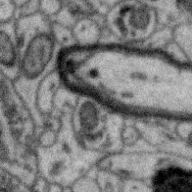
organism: Zebra finch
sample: Brain